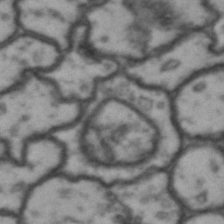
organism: Drosophila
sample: Brain